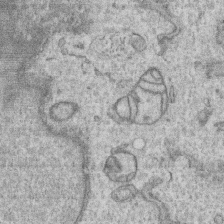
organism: Human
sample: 1205lu cells